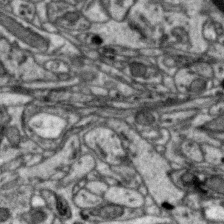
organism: Zebra finch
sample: Brain